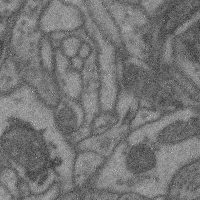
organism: Mouse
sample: Cerebral cortex